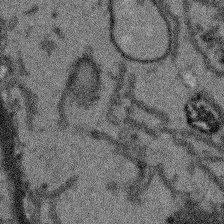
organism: Arabidopsis thaliana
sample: Root tip